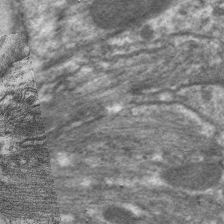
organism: C. elegans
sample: Pharynx